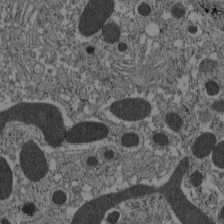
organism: C57BL Mouse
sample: Pancreatic islet